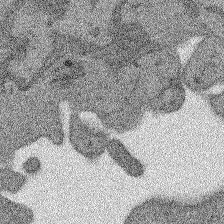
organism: Human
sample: HeLa cells